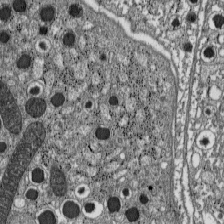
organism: C57BL Mouse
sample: Pancreatic islet